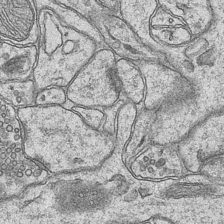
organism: Mouse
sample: CA1 Hippocampus